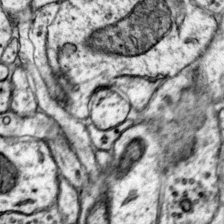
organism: Mouse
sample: Primary visual cortex